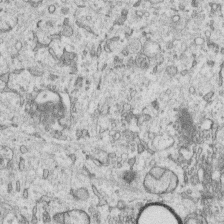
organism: Human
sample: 1205lu cells